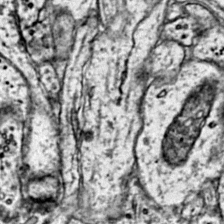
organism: Mouse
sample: Primary visual cortex